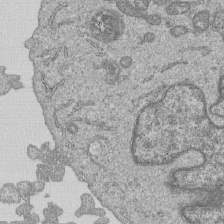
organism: Human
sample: MDA-MB-231 cells